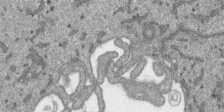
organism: Human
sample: Lung epithelial cells infected with SARS-CoV-2